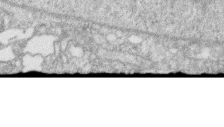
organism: Human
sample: HeLa cell HIV synapse